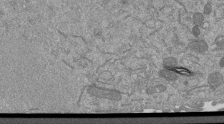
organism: Mouse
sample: ED-1 cell nuclei; centrioles